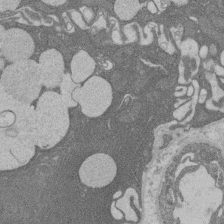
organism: Rat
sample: Salivary granule